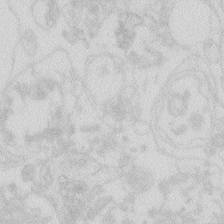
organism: Zebrafish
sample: Macrophage